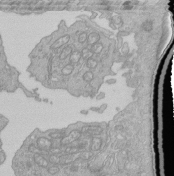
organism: Human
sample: Retinal organoid Rod and Cone cells